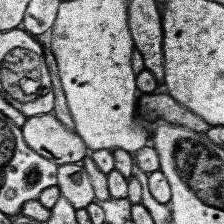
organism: Human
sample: Temporal Lobe